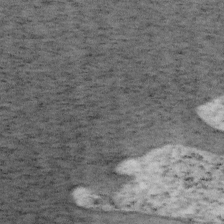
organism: Mouse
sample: OT-I killer T cells with ID8 ovarian cancer cells